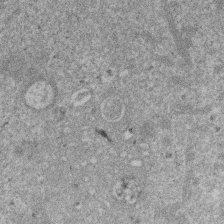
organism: Mouse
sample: Dividing mouse embryo 1 cell stage